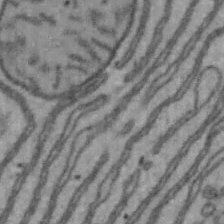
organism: Mouse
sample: Liver